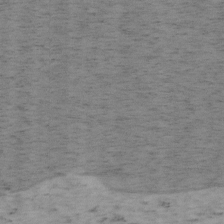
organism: Mouse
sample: OT-I killer T cells with ID8 ovarian cancer cells